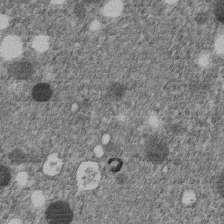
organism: C. elegans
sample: C. elegans embryo early stage